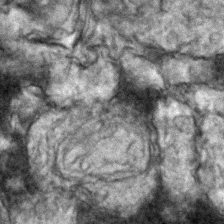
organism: Zebrafish